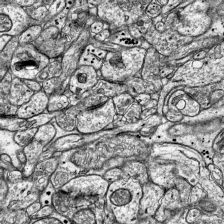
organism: Mouse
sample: Visual Cortex